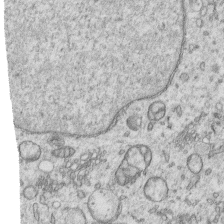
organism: Human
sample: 1205lu cells